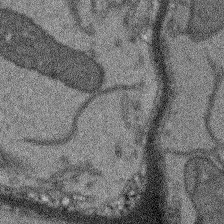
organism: Arabidopsis thaliana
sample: Root tip